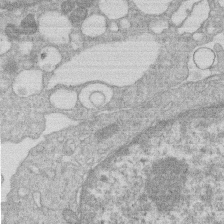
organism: Human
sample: Macrophage cells